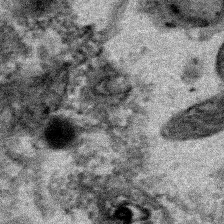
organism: Human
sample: Mitochondria in HCT116 cells